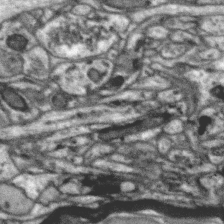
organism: Zebra finch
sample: Brain